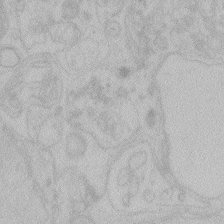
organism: Zebrafish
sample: Macrophage infected with Toxoplasma gondii